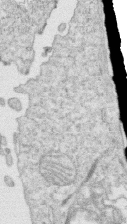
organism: Human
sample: HeLa cell HIV synapse